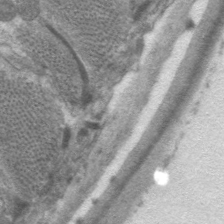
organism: C. elegans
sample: Pharynx